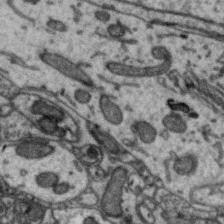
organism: Zebra finch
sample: Brain